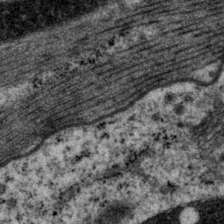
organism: P. pacificus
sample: Pharynx